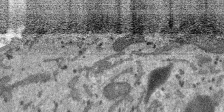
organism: Human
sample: Lung epithelial cells infected with SARS-CoV-2